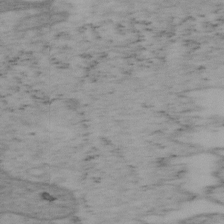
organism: Mouse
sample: OT-I killer T cells with ID8 ovarian cancer cells